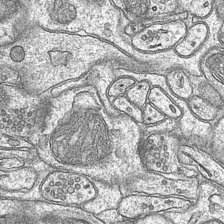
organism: Mouse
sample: CA1 Hippocampus